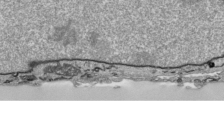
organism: Human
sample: Mitochondria in HCT116 cells